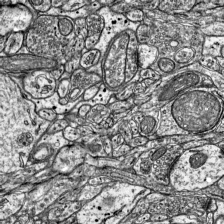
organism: Mouse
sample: Visual Cortex